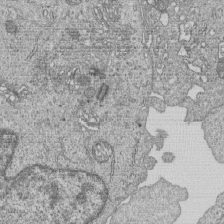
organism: Human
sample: MDA-MB-231 cells